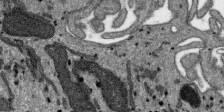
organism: Human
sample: Lung epithelial cells, uninfected (mock) control